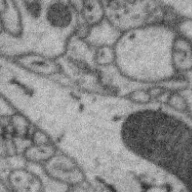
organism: Zebra finch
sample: Brain